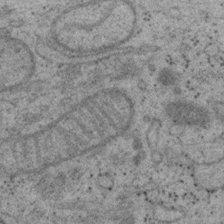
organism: Human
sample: HeLa cells